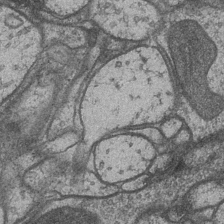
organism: Drosophila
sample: Optic medulla